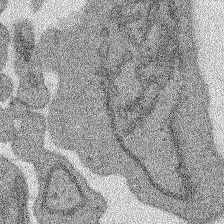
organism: Human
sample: HeLa cells